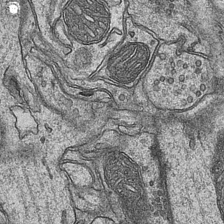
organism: Mouse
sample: CA1 Hippocampus